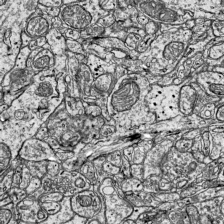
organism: Mouse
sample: Visual Cortex